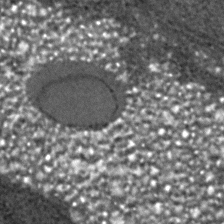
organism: C. elegans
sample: C. elegans embryo